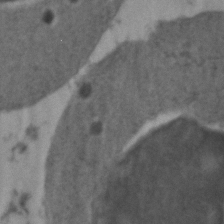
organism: Zebrafish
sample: Zebrafish embryo